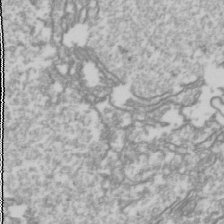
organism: Drosophila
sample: Cell division; meiosis; drosophila spermatocytes